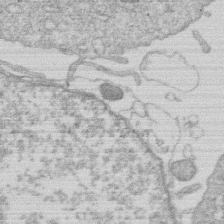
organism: Human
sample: Macrophage cells